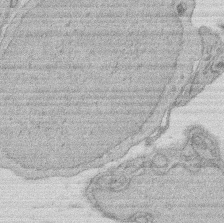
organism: Rat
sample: Salivary granule